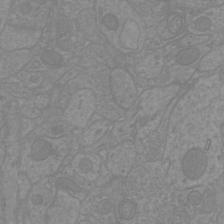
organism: Mouse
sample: Cortical neurons